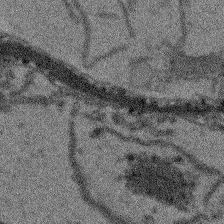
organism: Arabidopsis thaliana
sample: Root tip